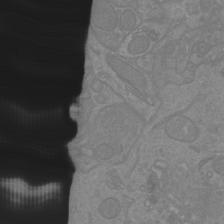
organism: Mouse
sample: Cortical neurons